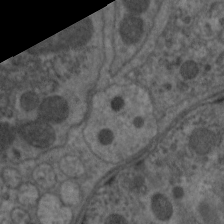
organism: C. elegans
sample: Pharynx